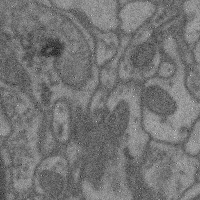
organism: Mouse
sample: Cerebral cortex